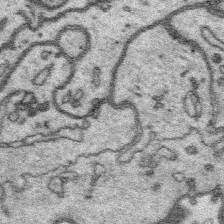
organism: Platynereis dumerilii